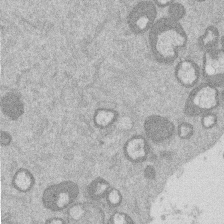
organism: Mouse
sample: Dividing mouse embryo 1 cell stage